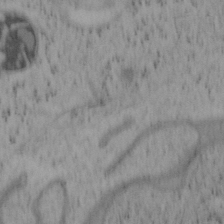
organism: Mouse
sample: OT-I killer T cells with ID8 ovarian cancer cells